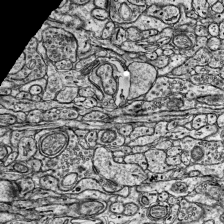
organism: Mouse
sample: Visual Cortex